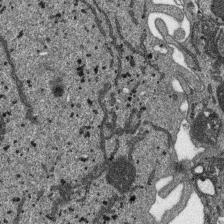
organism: Human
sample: Lung epithelial cells infected with SARS-CoV-2